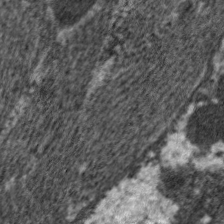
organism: C. elegans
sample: Pharynx